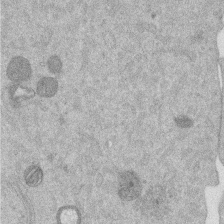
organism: Mouse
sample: Dividing mouse embryo 1 cell stage